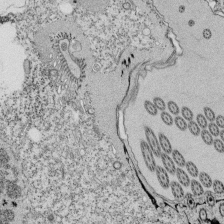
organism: Tetrahymena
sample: Cilia in tetrahymena